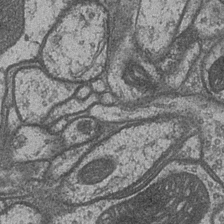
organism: Drosophila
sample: Optic medulla